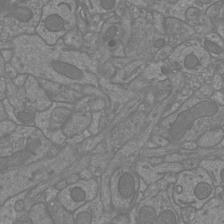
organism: Mouse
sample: Cortical neurons